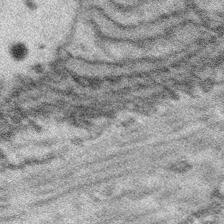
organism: Platynereis dumerilii